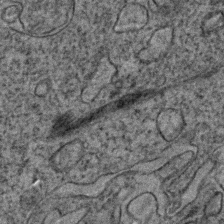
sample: Trachea